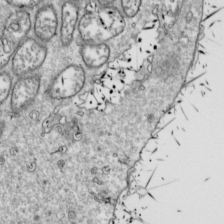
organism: Drosophila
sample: Cell division; meiosis; drosophila spermatocytes